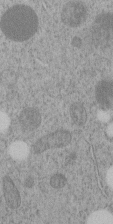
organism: C. elegans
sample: C. elegans embryo early stage